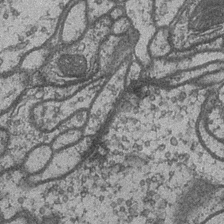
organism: Drosophila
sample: Optic medulla